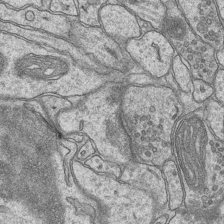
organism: Mouse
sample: CA1 Hippocampus